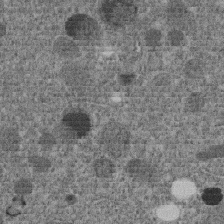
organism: C. elegans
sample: C. elegans embryo early stage